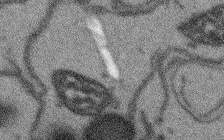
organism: Arabidopsis thaliana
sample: Root tip